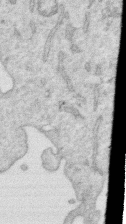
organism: Human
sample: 1205lu cells